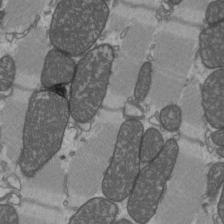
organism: C57BL Mouse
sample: Heart